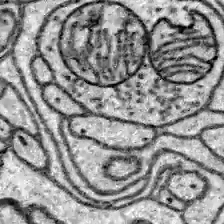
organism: Zebrafish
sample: Brain